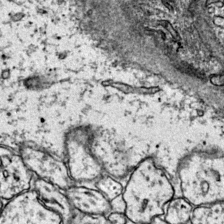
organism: Mouse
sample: Primary visual cortex